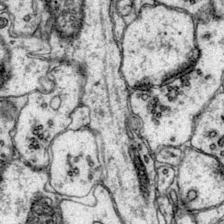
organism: Mouse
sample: Primary visual cortex